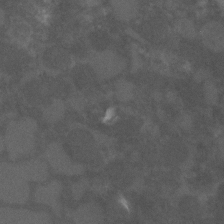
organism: C. elegans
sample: C. elegans embryo